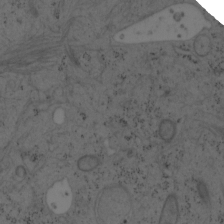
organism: Mouse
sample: OT-I killer T cells with ID8 ovarian cancer cells